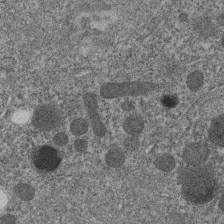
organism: C. elegans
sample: C. elegans embryo early stage